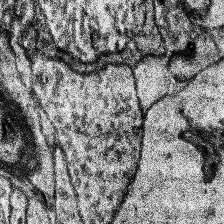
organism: Human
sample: Temporal Lobe